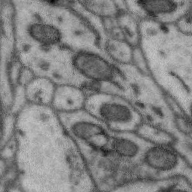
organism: Zebra finch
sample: Brain